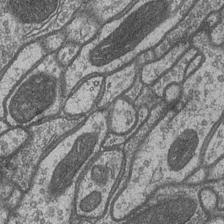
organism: Drosophila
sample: Optic medulla